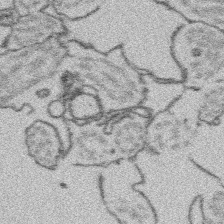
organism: Platynereis dumerilii